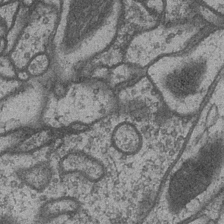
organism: Drosophila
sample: Optic medulla